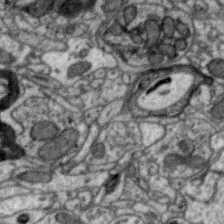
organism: Zebra finch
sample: Brain